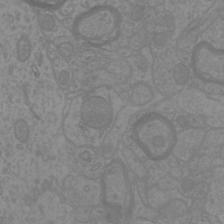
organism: Mouse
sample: Cortical neurons